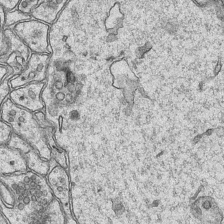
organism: Mouse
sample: CA1 Hippocampus